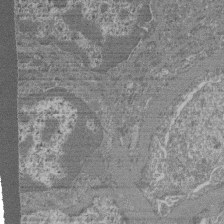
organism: Mouse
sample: Glomerulus